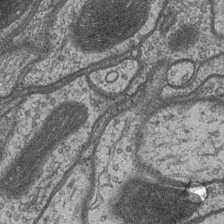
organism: Drosophila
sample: Optic medulla